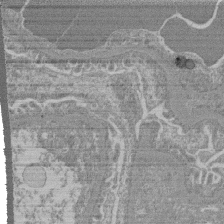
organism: Mouse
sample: Glomerulus